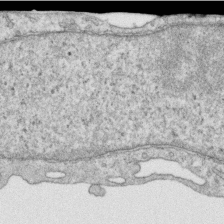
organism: Human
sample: Centriole in RPE cells